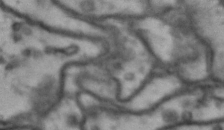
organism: Drosophila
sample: Brain